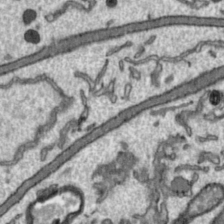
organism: Toxoplasma gondii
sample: Parasites in a vacuole inside a host cell